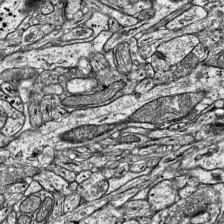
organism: Mouse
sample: Visual Cortex